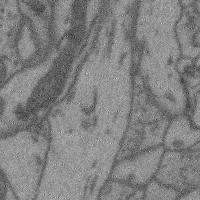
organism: Mouse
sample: Cerebral cortex